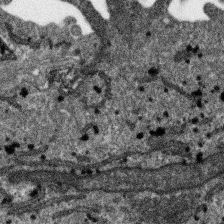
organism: Human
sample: Lung epithelial cells infected with SARS-CoV-2